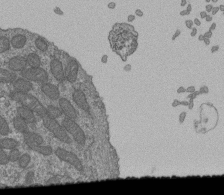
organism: Human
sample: Retinal organoid Rod and Cone cells